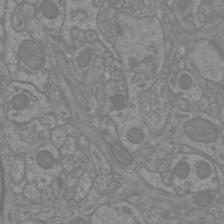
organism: Mouse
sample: Cortical neurons